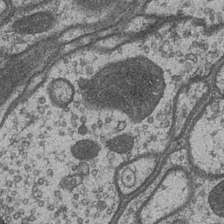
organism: Drosophila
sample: Optic medulla